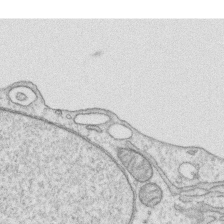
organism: Human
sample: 1205lu cells